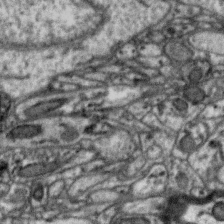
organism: Zebra finch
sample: Brain